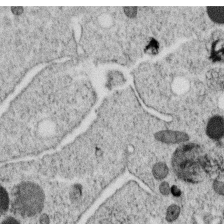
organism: C. elegans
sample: C. elegans oocyte; sperm cells